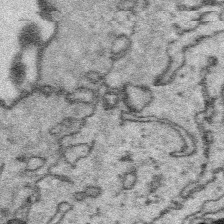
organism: Platynereis dumerilii